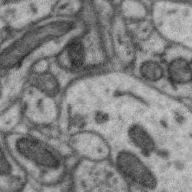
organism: Zebra finch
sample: Brain